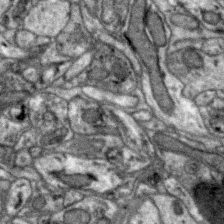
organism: Zebra finch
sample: Brain